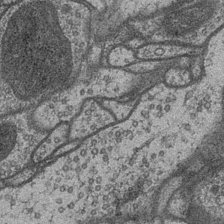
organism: Drosophila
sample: Optic medulla